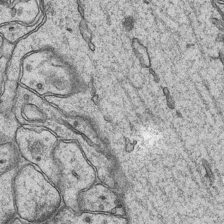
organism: Mouse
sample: CA1 Hippocampus